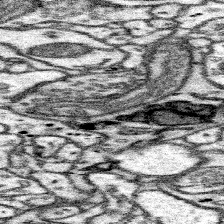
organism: Mouse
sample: Somatosensory cortex neuropil